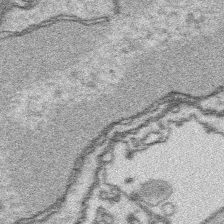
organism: Platynereis dumerilii